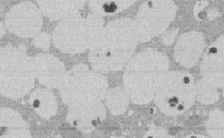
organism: Rat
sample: Salivary granule